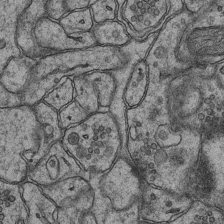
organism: Mouse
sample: CA1 Hippocampus